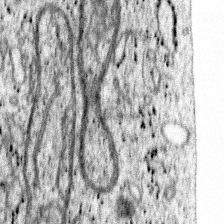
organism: Human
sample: HeLa cells